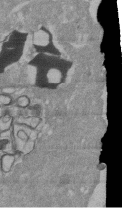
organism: Mouse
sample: ED-1 cell nuclei; centrioles